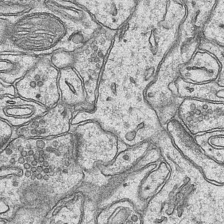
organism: Mouse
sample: CA1 Hippocampus